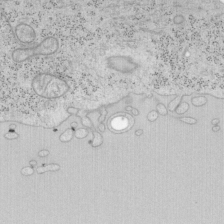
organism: Mouse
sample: OT-I killer T cells with ID8 ovarian cancer cells